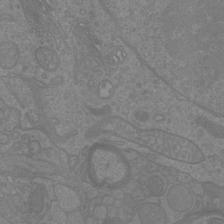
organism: Mouse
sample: Cortical neurons